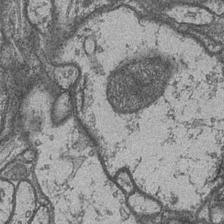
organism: Drosophila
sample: Optic medulla